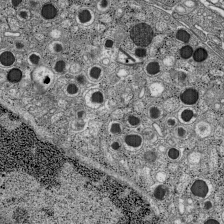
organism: C57BL Mouse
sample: Pancreatic islet